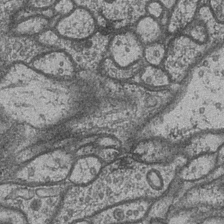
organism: Drosophila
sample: Optic medulla